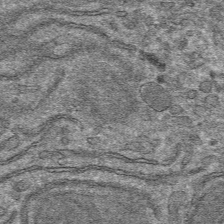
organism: Mouse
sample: Mouse hepatocytes